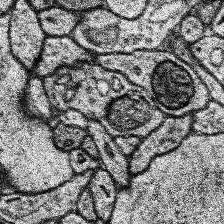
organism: Human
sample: Temporal Lobe